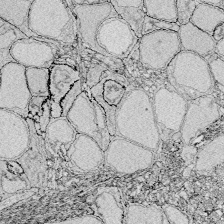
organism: Zebrafish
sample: Whole-Brain